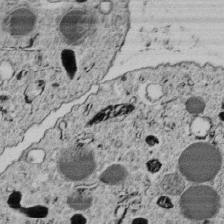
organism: C. elegans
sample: C. elegans embryo early stage